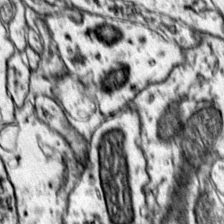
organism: Mouse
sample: Primary visual cortex